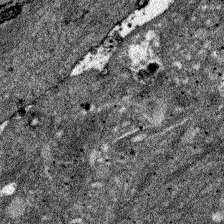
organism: Zebrafish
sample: Larval olfactory bulb